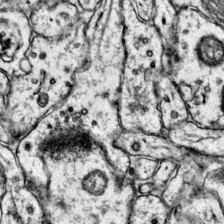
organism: Mouse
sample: Primary visual cortex